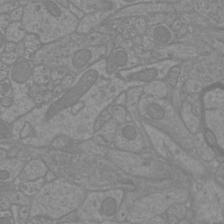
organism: Mouse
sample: Cortical neurons